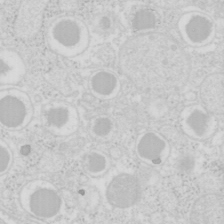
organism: Mouse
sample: Pancreas